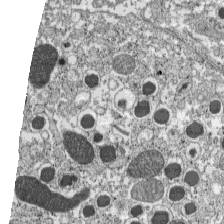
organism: C57BL Mouse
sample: Pancreatic islet